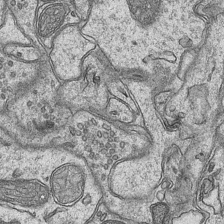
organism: Mouse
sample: CA1 Hippocampus